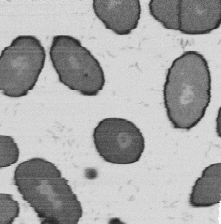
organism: B. subtilis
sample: Bacterial spore